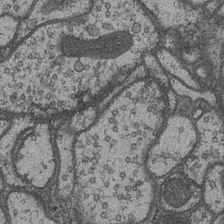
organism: Drosophila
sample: Optic medulla